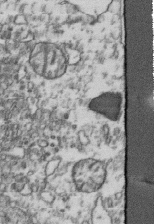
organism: Human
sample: Activated Jurkat CD4+ T cells